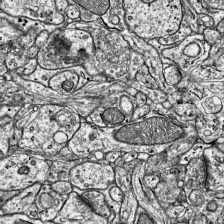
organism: Mouse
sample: Visual Cortex